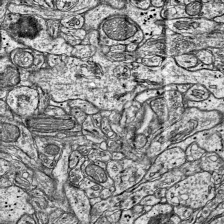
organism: Mouse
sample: Visual Cortex